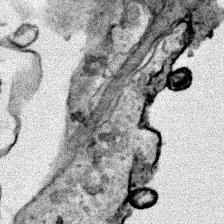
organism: Human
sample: Mitochondria in HCT116 cells